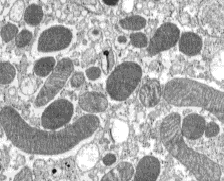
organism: C57BL Mouse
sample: Pancreatic islet